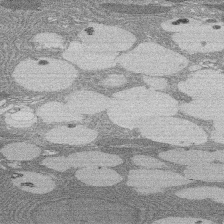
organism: Rat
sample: Salivary granule